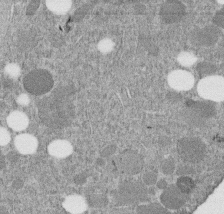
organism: C. elegans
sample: C. elegans embryo early stage